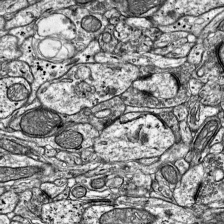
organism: Mouse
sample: Visual Cortex